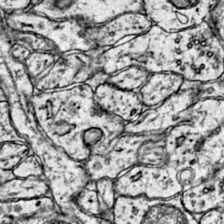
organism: Mouse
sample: Primary visual cortex